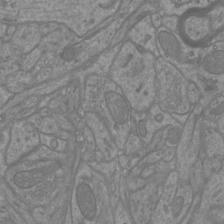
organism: Mouse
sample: Cortical neurons